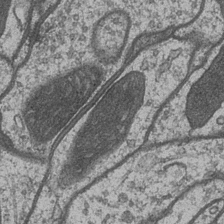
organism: Drosophila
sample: Optic medulla